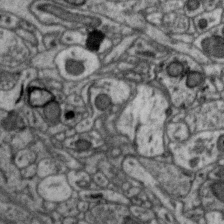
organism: Zebra finch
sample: Brain